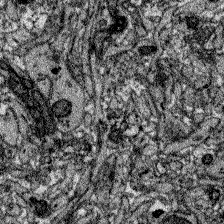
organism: Zebrafish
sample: Larval olfactory bulb